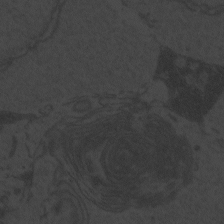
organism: Zebrafish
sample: Macrophage infected with Toxoplasma gondii